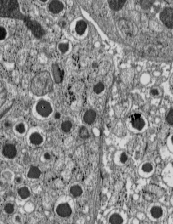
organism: C57BL Mouse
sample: Pancreatic islet